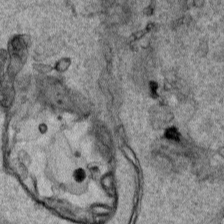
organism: Human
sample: Mitochondria in HCT116 cells